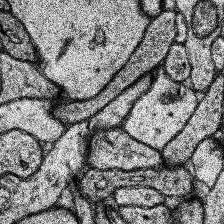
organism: Human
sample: Temporal Lobe